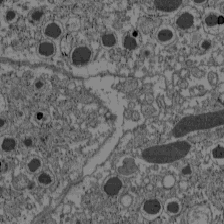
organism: C57BL Mouse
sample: Pancreatic islet